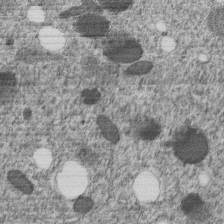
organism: C. elegans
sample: C. elegans embryo early stage